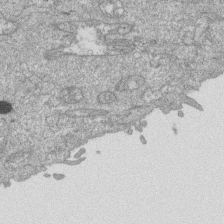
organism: Human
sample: HeLa cell HIV synapse